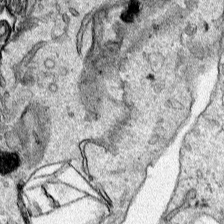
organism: Human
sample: Mitochondria in HCT116 cells